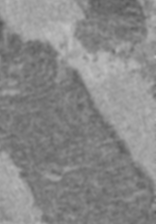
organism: C57BL Mouse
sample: Heart